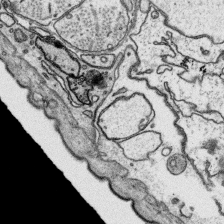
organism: Platynereis dumerilii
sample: Parapodia